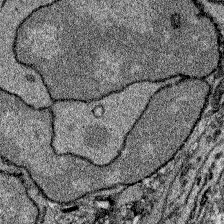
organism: Zebrafish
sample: Larval olfactory bulb